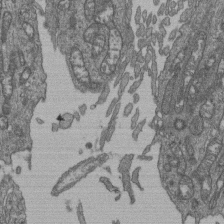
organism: Human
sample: Retinal organoid Rod and Cone cells